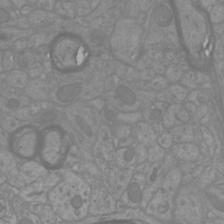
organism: Mouse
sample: Cortical neurons